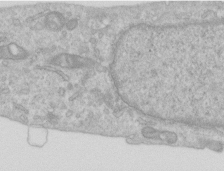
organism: Human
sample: Centriole in RPE cells